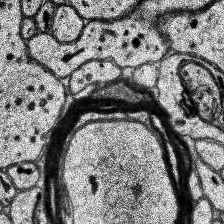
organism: Human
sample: Temporal Lobe